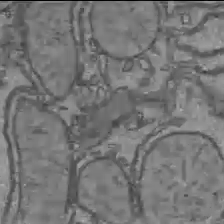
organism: C57BL Mouse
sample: Liver